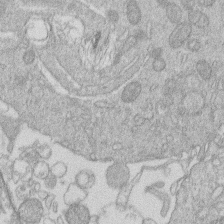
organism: Human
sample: Macrophage cells